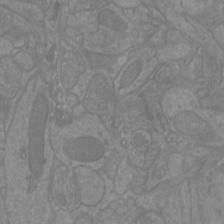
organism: Mouse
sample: Cortical neurons